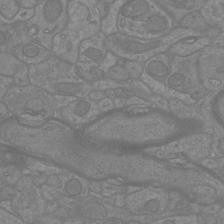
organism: Mouse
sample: Cortical neurons